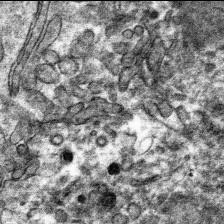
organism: Mouse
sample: Mouse hepatocytes